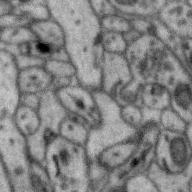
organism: Zebra finch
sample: Brain